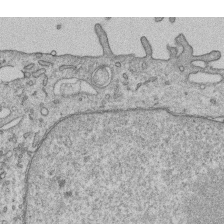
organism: Human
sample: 1205lu cells